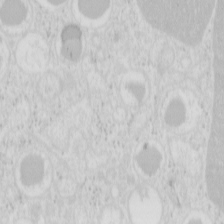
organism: Mouse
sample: Pancreas